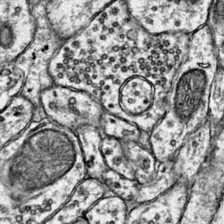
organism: Mouse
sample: Primary visual cortex